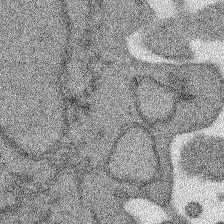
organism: Human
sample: HeLa cells